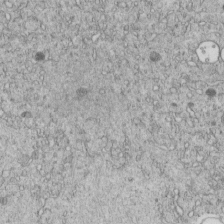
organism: C. elegans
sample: C. elegans embryo early stage